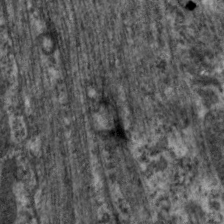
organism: C. elegans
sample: Pharynx